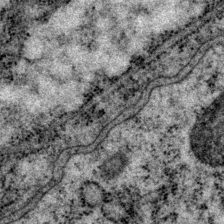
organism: P. pacificus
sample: Pharynx